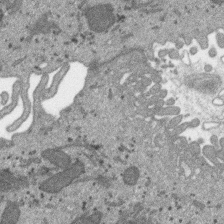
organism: Human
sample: Lung epithelial cells infected with SARS-CoV-2